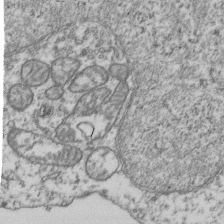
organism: Human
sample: Activated Jurkat CD4+ T cells